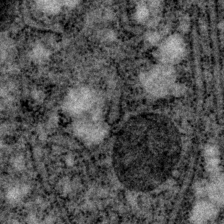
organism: P. pacificus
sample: Pharynx